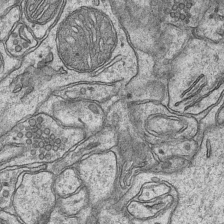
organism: Mouse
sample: CA1 Hippocampus